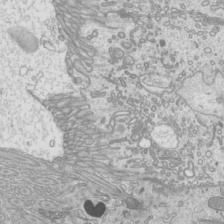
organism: Mouse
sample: Cilia; mouse epididymis